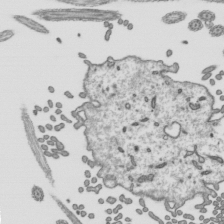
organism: Mouse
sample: Mouse epididymis efferent ductule cilia